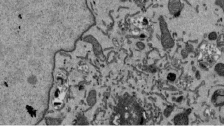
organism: Mouse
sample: ED-1 cell nuclei; centrioles